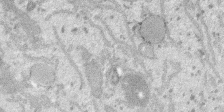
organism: Human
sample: Lung epithelial cells infected with SARS-CoV-2